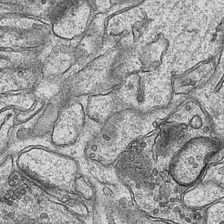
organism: Mouse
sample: CA1 Hippocampus